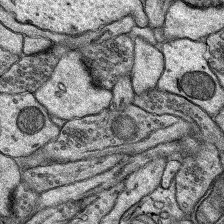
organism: Rat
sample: Hippocampus